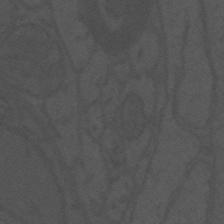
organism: Mouse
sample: Suprachiasmatic nucleus